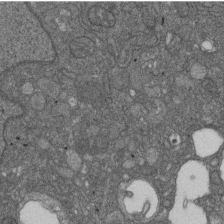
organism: Drosophila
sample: Nephrocyte